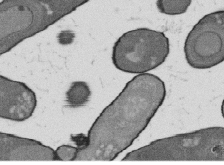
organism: B. subtilis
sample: Bacterial spore